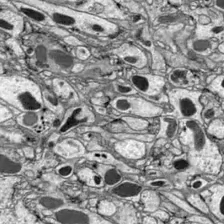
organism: Drosophila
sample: Optic lobe